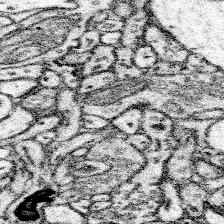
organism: Mouse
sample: Somatosensory cortex neuropil